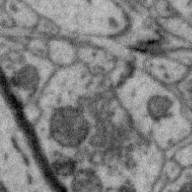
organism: Zebra finch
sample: Brain